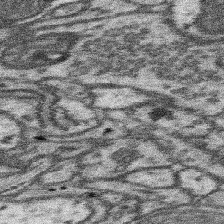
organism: Mouse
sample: Somatosensory cortex neuropil